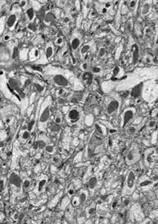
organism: Drosophila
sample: Optic lobe